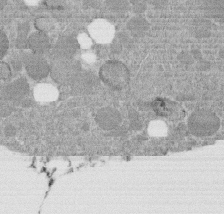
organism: C. elegans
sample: C. elegans embryo early stage